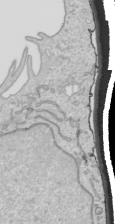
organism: Human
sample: Mitochondria in HCT116 cells